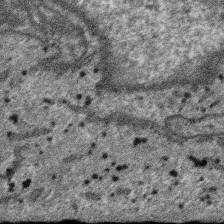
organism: Human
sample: Lung epithelial cells infected with SARS-CoV-2